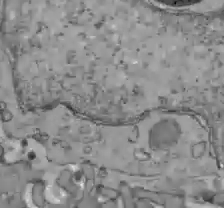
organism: C57BL Mouse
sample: Liver